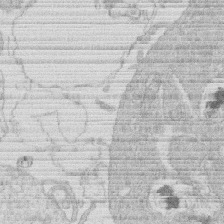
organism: Human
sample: Macrophage cells